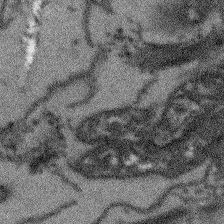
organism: Arabidopsis thaliana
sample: Root tip